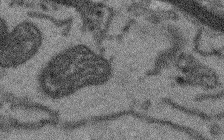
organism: Arabidopsis thaliana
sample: Root tip